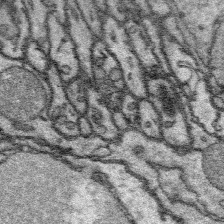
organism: Platynereis dumerilii